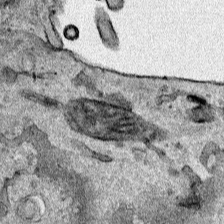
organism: Human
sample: Mitochondria in HCT116 cells